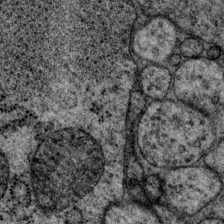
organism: P. pacificus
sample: Pharynx